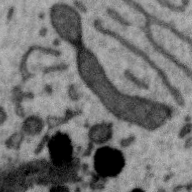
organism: Zebra finch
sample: Brain